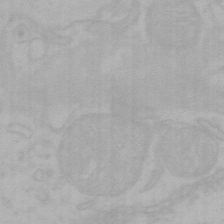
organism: Mouse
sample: Choroid plexus